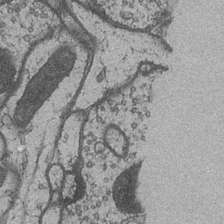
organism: Drosophila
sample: Optic medulla